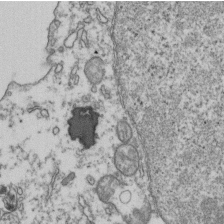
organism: Human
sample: Activated Jurkat CD4+ T cells